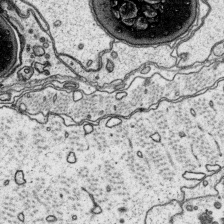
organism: Platynereis dumerilii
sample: Parapodia